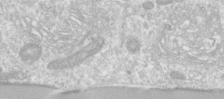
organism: Human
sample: Centriole in RPE cells